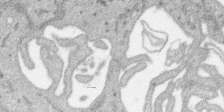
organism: Human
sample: Lung epithelial cells infected with SARS-CoV-2